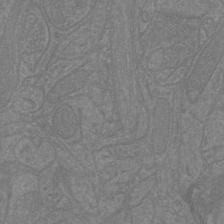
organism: Mouse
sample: Cortical neurons